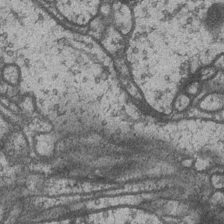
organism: Drosophila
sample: Optic medulla